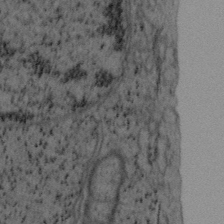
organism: Human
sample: HeLa cells